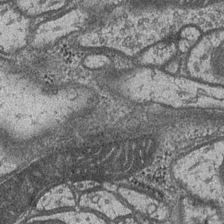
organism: Drosophila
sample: Optic medulla